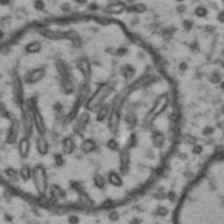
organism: Drosophila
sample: Brain